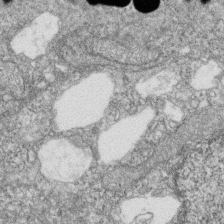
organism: Zebrafish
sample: Cilia; retinal pigment epithelium